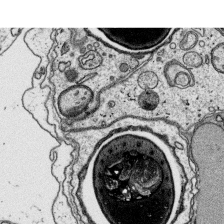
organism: Platynereis dumerilii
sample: Parapodia